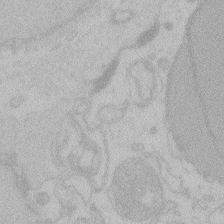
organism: Zebrafish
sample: Macrophage infected with Toxoplasma gondii